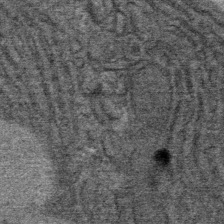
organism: Mouse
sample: Mouse Salivary gland